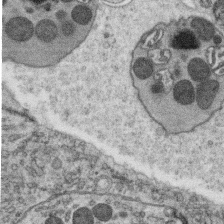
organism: C. elegans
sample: C. elegans oocyte; sperm cells